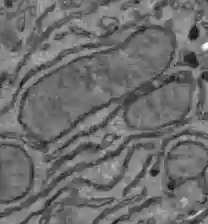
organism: C57BL Mouse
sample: Liver